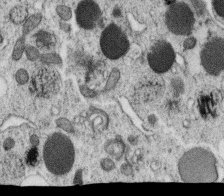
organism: C. elegans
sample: C. elegans oocyte; sperm cells